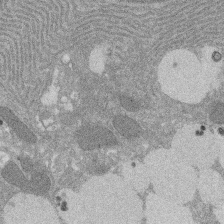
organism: Rat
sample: Salivary granule